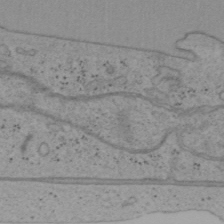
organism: Human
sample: HeLa cells